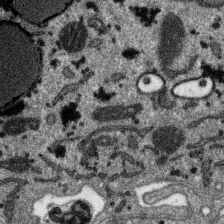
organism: Human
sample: Lung epithelial cells infected with SARS-CoV-2